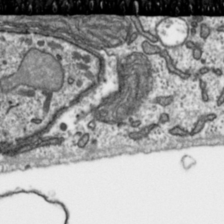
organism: Toxoplasma gondii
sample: Parasites in a vacuole inside a host cell